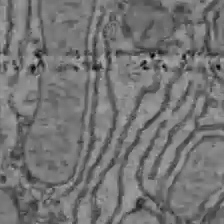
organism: C57BL Mouse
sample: Liver